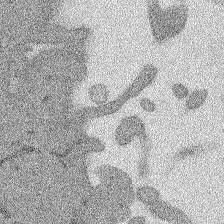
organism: Human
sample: HeLa cells